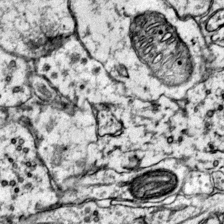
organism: Mouse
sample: Primary visual cortex